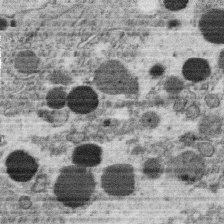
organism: C. elegans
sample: C. elegans oocyte; sperm cells